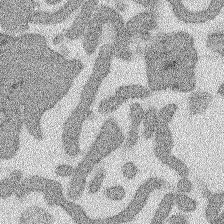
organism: Human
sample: HeLa cells